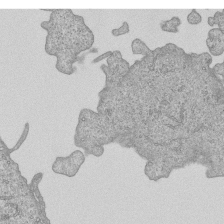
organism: Human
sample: MDA-MB-231 cells